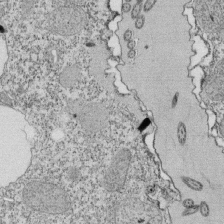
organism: Tetrahymena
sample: Cilia in tetrahymena